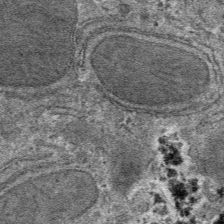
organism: Mouse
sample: Mouse hepatocytes